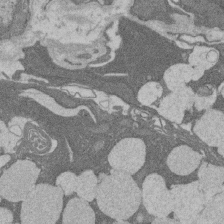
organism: Rat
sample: Salivary granule